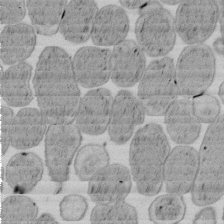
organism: E. coli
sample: Bacterial nucleoid